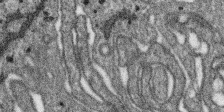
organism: Human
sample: Lung epithelial cells infected with SARS-CoV-2